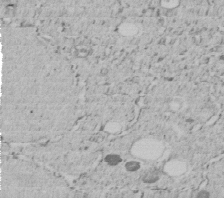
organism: C. elegans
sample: C. elegans embryo early stage